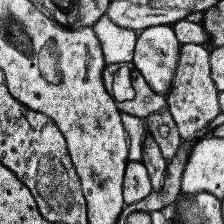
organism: Human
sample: Temporal Lobe